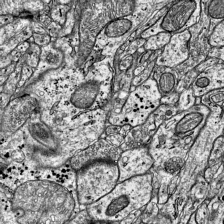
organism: Mouse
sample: Visual Cortex